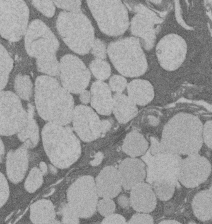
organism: Rat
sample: Salivary granule